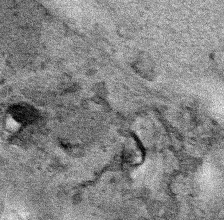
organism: Human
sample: Mitochondria in HCT116 cells